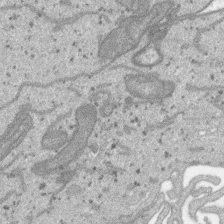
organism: Human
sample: Lung epithelial cells infected with SARS-CoV-2